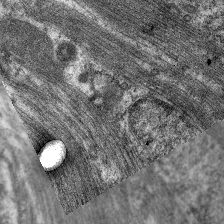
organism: C. elegans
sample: Pharynx